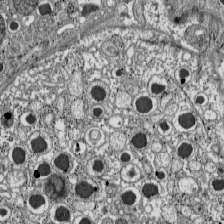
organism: C57BL Mouse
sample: Pancreatic islet